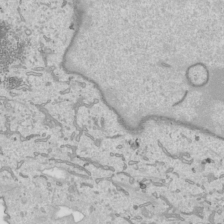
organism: Human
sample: Mitochondria in HCT116 cells